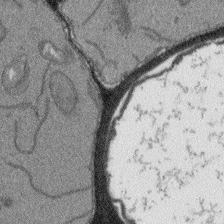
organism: Arabidopsis thaliana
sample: Root tip